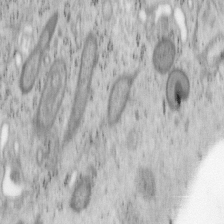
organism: Human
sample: HeLa cells